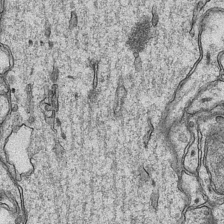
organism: Mouse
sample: CA1 Hippocampus